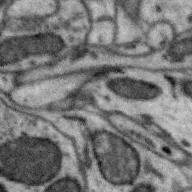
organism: Zebra finch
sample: Brain